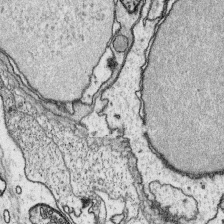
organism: Platynereis dumerilii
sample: Parapodia